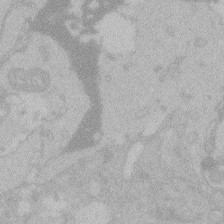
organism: Zebrafish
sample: Macrophage infected with Toxoplasma gondii